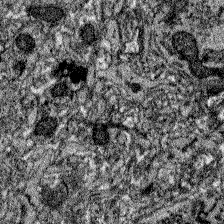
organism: Zebrafish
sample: Larval olfactory bulb